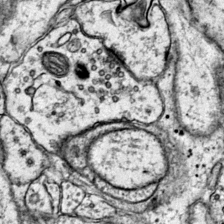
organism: Mouse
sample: Primary visual cortex